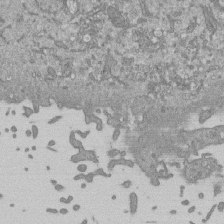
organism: Mouse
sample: ED-1 cell nuclei; centrioles